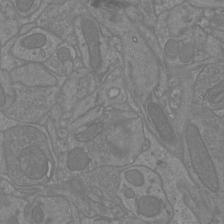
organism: Mouse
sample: Cortical neurons